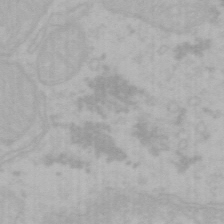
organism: Mouse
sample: Choroid plexus